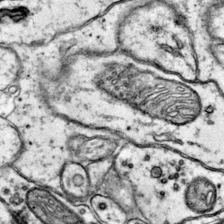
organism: Mouse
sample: Primary visual cortex